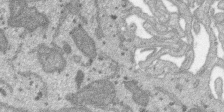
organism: Human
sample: Lung epithelial cells infected with SARS-CoV-2